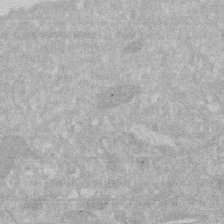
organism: Human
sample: HIV infected U937 cells